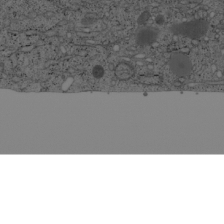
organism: African green monkey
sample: COS-7 cells